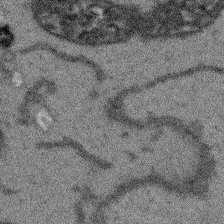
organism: Arabidopsis thaliana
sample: Root tip